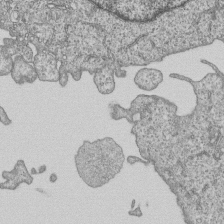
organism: Human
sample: MDA-MB-231 cells